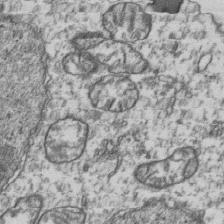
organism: Human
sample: Activated Jurkat CD4+ T cells